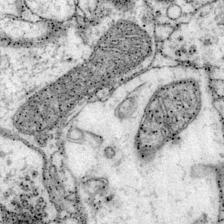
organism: Mouse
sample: Primary visual cortex